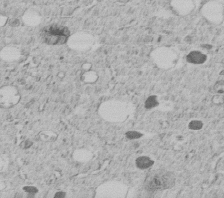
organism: C. elegans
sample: C. elegans embryo early stage